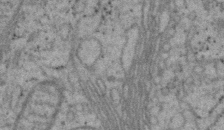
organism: Human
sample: HeLa cells